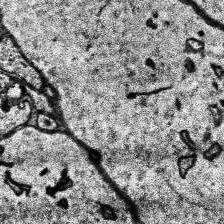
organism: Human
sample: Temporal Lobe